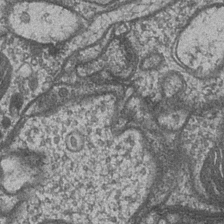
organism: Drosophila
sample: Optic medulla